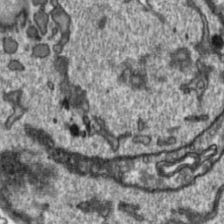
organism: Toxoplasma gondii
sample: Parasites in a vacuole inside a host cell